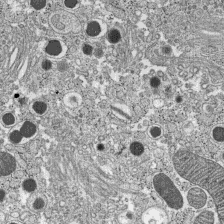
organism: C57BL Mouse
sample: Pancreatic islet